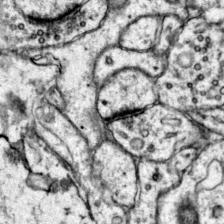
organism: Mouse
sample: Primary visual cortex